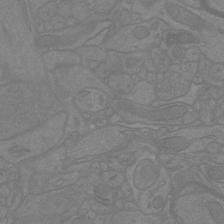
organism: Mouse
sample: Cortical neurons